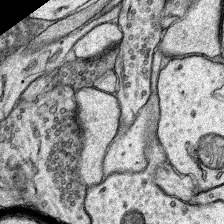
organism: Rat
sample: Hippocampus